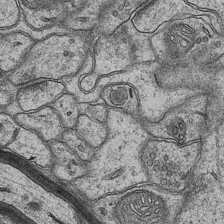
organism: Mouse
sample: CA1 Hippocampus